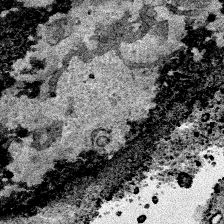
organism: Human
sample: Mitochondria in HCT116 cells